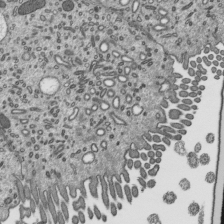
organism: Mouse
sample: Mouse epididymis efferent ductule cilia